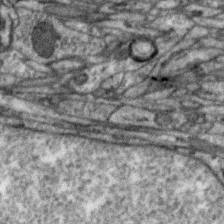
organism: Zebra finch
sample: Brain